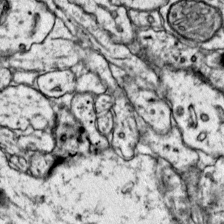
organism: Mouse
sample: Primary visual cortex